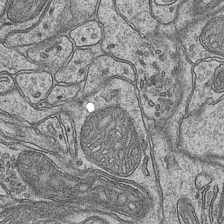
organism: Mouse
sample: CA1 Hippocampus